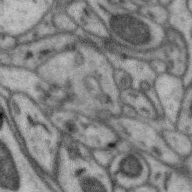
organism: Zebra finch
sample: Brain